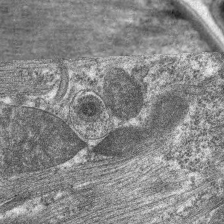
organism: C. elegans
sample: Pharynx